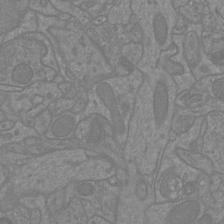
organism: Mouse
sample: Cortical neurons